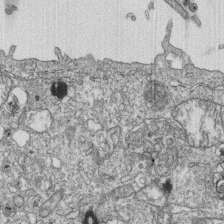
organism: Human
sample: HeLa cell HIV synapse